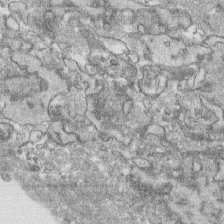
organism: Human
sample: CRL-1474